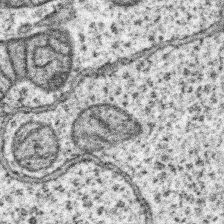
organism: Human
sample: HeLa cells